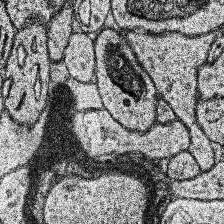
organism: Human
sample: Temporal Lobe